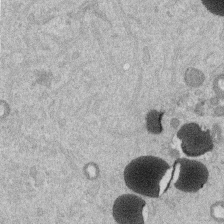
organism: Mouse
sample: Dividing mouse embryo 1 cell stage